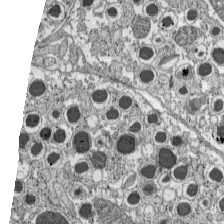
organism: C57BL Mouse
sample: Pancreatic islet